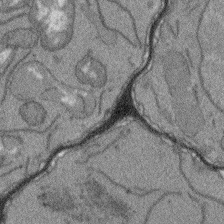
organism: Arabidopsis thaliana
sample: Root tip